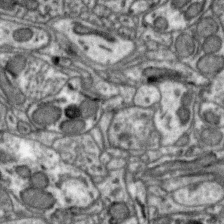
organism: Zebra finch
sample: Brain